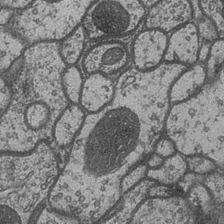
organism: Drosophila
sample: Optic medulla